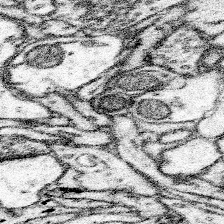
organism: Mouse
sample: Somatosensory cortex neuropil